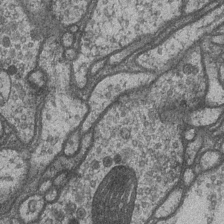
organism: Drosophila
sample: Optic medulla